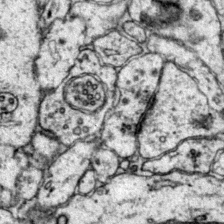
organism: Mouse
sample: Primary visual cortex